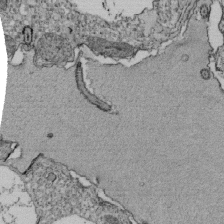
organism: Tetrahymena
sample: Cilia in tetrahymena